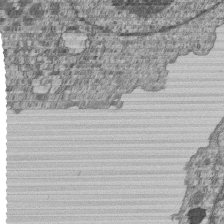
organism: Human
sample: MDA-MB-231 cells